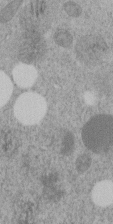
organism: C. elegans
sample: C. elegans embryo early stage